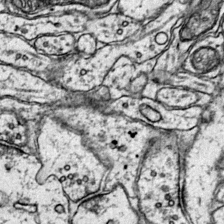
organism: Mouse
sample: Primary visual cortex